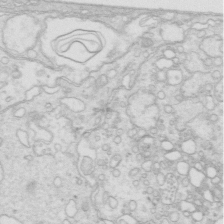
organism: Mouse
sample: Multiciliated cells